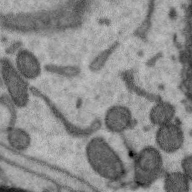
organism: Zebra finch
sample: Brain